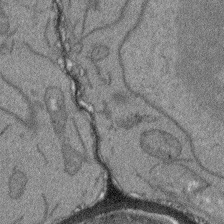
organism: Arabidopsis thaliana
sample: Root tip